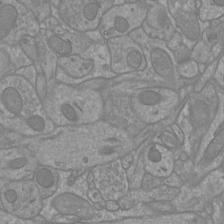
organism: Mouse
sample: Cortical neurons